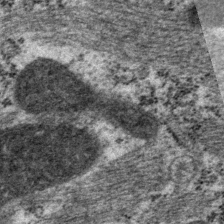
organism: P. pacificus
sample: Pharynx